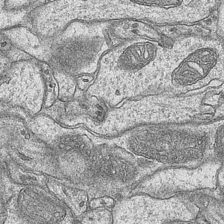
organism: Mouse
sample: CA1 Hippocampus